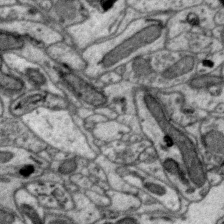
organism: Zebra finch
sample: Brain